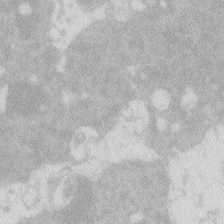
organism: Zebrafish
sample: Macrophage